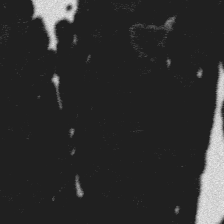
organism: Platynereis dumerilii